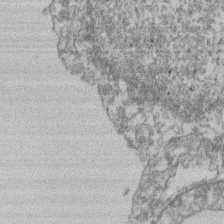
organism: Mouse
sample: T cell stromal cell synapse